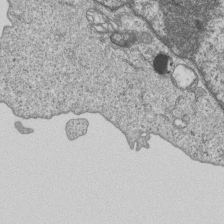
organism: Human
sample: MDA-MB-231 cells